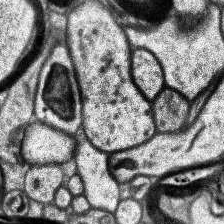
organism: Human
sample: Temporal Lobe